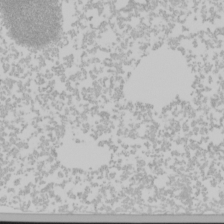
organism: Mouse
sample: Cancer cell death in ED-1 cells